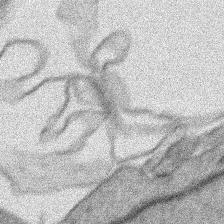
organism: Human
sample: Mitochondria in HCT116 cells